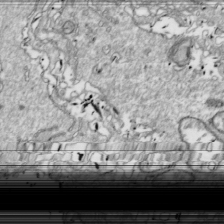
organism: Drosophila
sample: Cell division; meiosis; drosophila spermatocytes